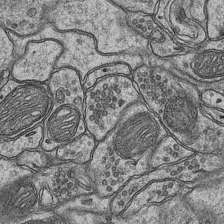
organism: Mouse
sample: CA1 Hippocampus